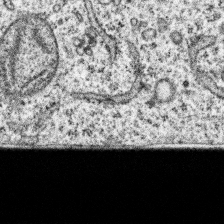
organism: Human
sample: HeLa cells